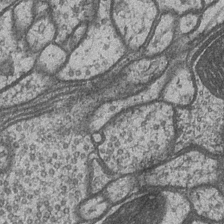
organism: Drosophila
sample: Optic medulla